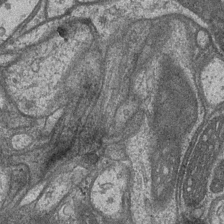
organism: Drosophila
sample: Optic medulla